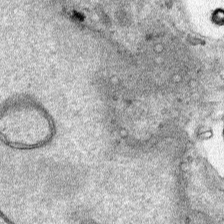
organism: Human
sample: Mitochondria in HCT116 cells